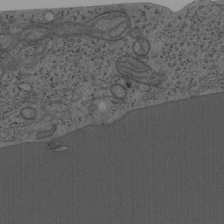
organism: Human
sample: HeLa cells